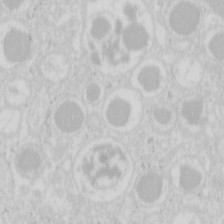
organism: Mouse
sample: Pancreas